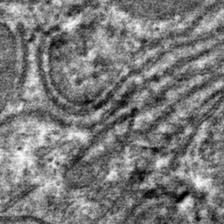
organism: Mouse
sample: Mouse hepatocytes